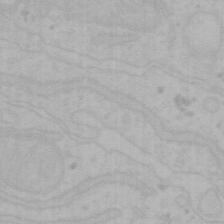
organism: Mouse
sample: Choroid plexus